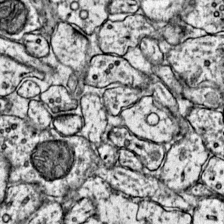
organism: Mouse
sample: Primary visual cortex